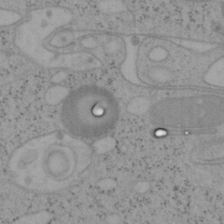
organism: Mouse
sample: OT-I killer T cells with ID8 ovarian cancer cells